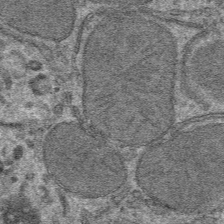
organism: Mouse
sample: Mouse hepatocytes